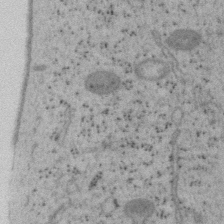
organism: Human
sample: HeLa cells